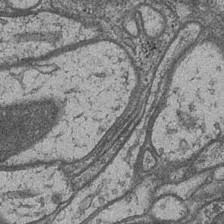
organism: Drosophila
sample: Optic medulla